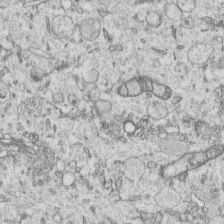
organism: Human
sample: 1205lu cells